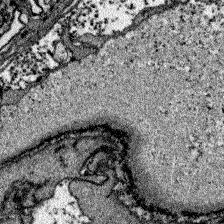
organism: Zebrafish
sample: Larval olfactory bulb